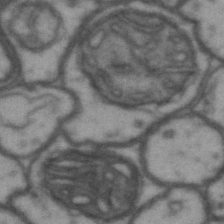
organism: Drosophila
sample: Brain